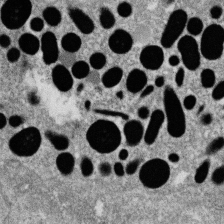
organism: Zebrafish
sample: Cilia; retinal pigment epithelium